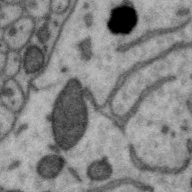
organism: Zebra finch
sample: Brain